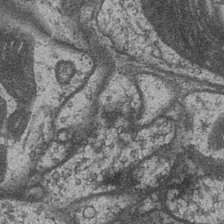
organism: Drosophila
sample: Optic medulla